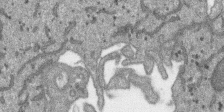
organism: Human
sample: Lung epithelial cells infected with SARS-CoV-2